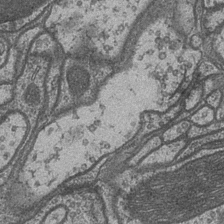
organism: Drosophila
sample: Optic medulla